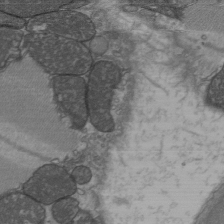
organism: C57BL Mouse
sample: Heart